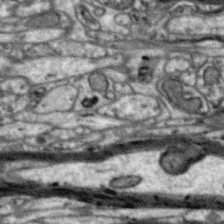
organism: Zebra finch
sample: Brain